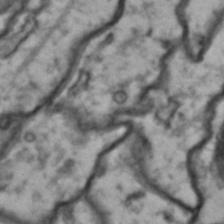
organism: Drosophila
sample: Brain